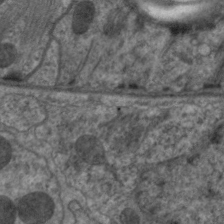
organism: C. elegans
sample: Pharynx